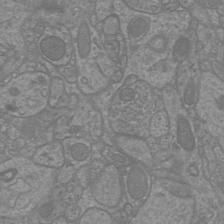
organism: Mouse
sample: Cortical neurons